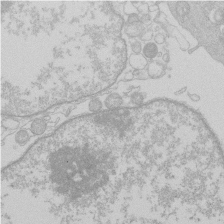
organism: Human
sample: Macrophage cells